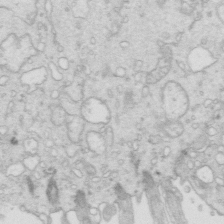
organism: Mouse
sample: Multiciliated cells